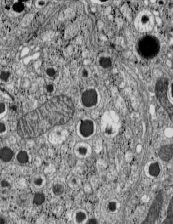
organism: C57BL Mouse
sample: Pancreatic islet